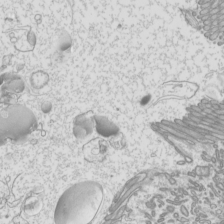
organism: Mouse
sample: Cilia; mouse epididymis